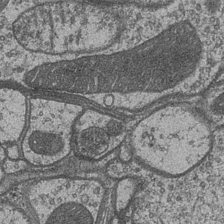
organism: Drosophila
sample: Optic medulla